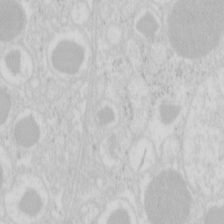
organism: Mouse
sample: Pancreas